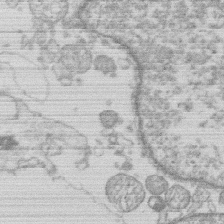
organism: Human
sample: Macrophage cells